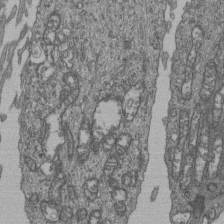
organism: Human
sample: Retinal organoid Rod and Cone cells